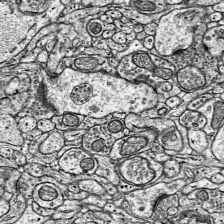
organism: Mouse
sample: Visual Cortex